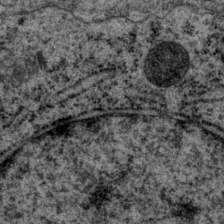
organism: P. pacificus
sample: Pharynx